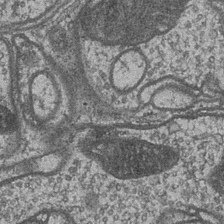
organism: Drosophila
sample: Optic medulla